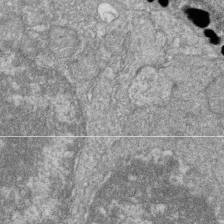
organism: Zebrafish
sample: Cilia; retinal pigment epithelium